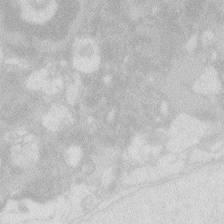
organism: Zebrafish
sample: Macrophage